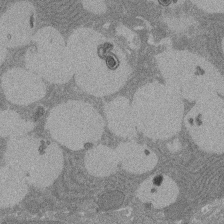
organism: Rat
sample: Salivary granule